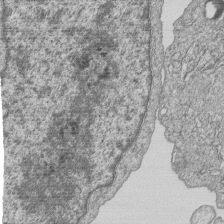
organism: Human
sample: MDA-MB-231 cells